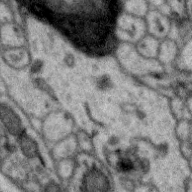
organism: Zebra finch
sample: Brain